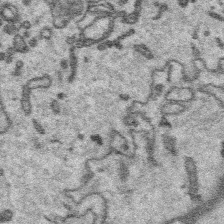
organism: Platynereis dumerilii